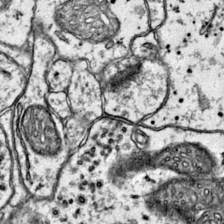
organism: Mouse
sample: Primary visual cortex